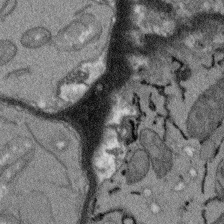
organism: Arabidopsis thaliana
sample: Root tip